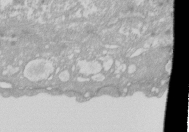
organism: Xenopus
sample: Cilia; centrioles in frog embryo cells